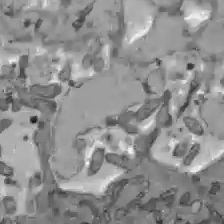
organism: C57BL Mouse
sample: Liver